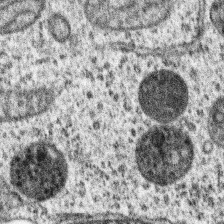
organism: Human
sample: HeLa cells